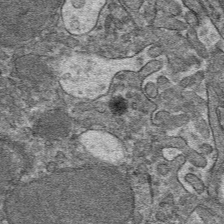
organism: Mouse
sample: Mouse hepatocytes